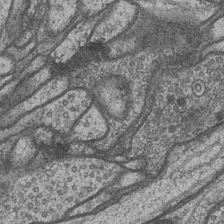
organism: Drosophila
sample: Optic medulla